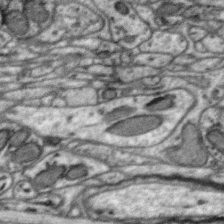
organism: Zebra finch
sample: Brain